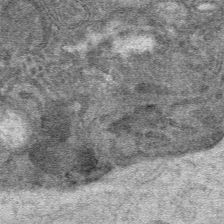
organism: Mouse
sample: Mouse hepatocytes